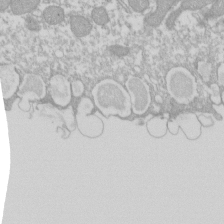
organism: Xenopus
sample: Cilia; centrioles in frog embryo cells